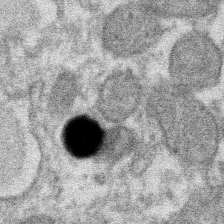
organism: Xenopus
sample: Cilia; centrioles in frog embryo cells